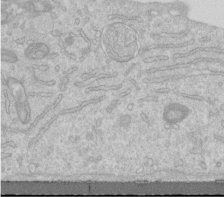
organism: Human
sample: Centriole in RPE cells